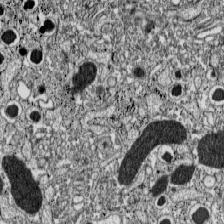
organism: C57BL Mouse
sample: Pancreatic islet